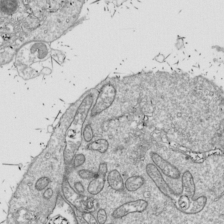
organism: Drosophila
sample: Cell division; meiosis; drosophila spermatocytes